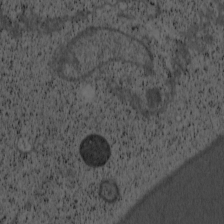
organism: African green monkey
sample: COS-7 cells